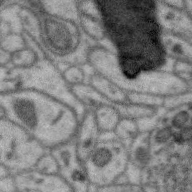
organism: Zebra finch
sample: Brain